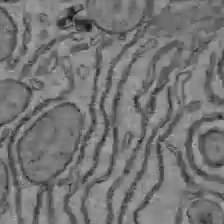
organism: C57BL Mouse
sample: Liver